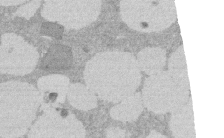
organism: Rat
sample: Salivary granule